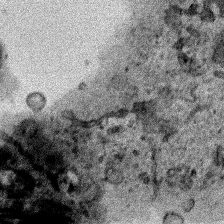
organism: Human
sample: Mitochondria in HCT116 cells